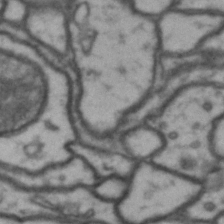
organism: Drosophila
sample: Brain